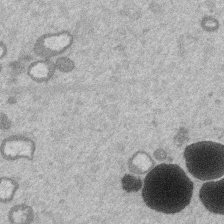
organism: Mouse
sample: Dividing mouse embryo 1 cell stage